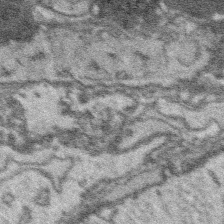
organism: Platynereis dumerilii